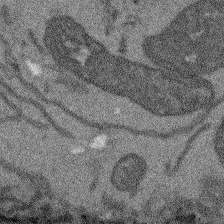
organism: Arabidopsis thaliana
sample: Root tip